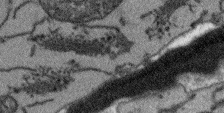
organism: Arabidopsis thaliana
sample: Root tip